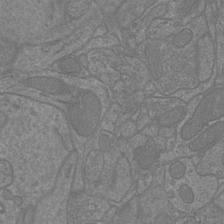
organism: Mouse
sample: Cortical neurons